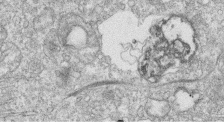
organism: Human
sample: HeLa cell HIV synapse